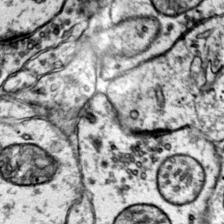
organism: Mouse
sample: Primary visual cortex